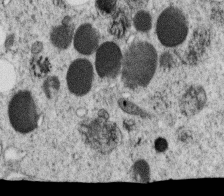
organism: C. elegans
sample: C. elegans oocyte; sperm cells